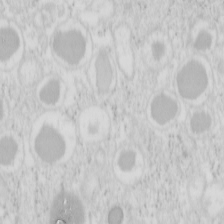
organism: Mouse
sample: Pancreas